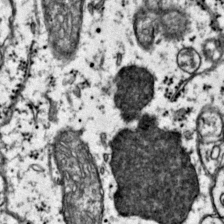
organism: Mouse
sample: Primary visual cortex